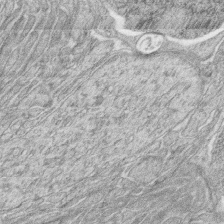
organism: Zebrafish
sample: synaptic ribbons in rod cells and cone cells